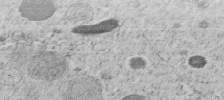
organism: C. elegans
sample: C. elegans embryo early stage